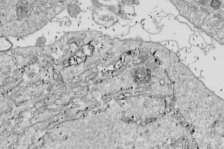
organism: Drosophila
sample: Cell division; meiosis; drosophila spermatocytes